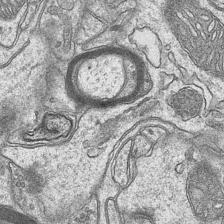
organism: Mouse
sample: CA1 Hippocampus